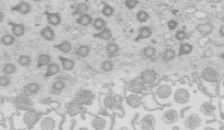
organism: Mouse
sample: Multiciliated cells